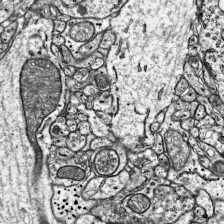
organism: Mouse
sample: Visual Cortex